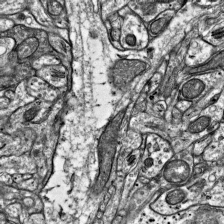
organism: Mouse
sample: Visual Cortex